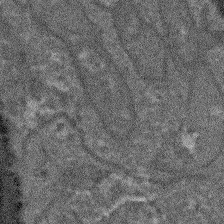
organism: Arabidopsis thaliana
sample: Root tip